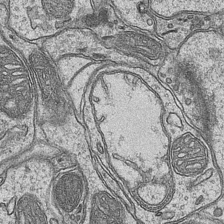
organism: Mouse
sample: CA1 Hippocampus